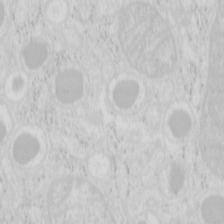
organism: Mouse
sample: Pancreas